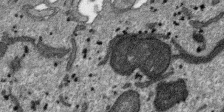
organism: Human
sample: Lung epithelial cells, uninfected (mock) control